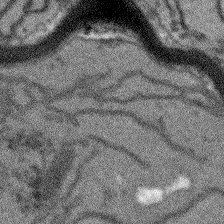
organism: Arabidopsis thaliana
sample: Root tip